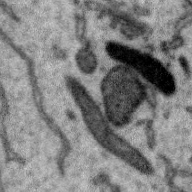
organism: Zebra finch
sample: Brain